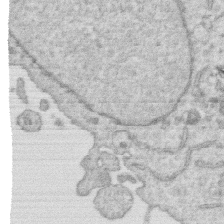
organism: Human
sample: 1205lu cells